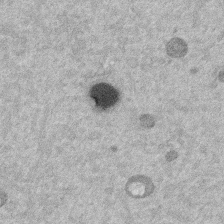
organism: Mouse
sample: Dividing mouse embryo 1 cell stage